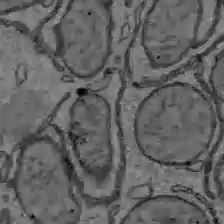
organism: C57BL Mouse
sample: Liver